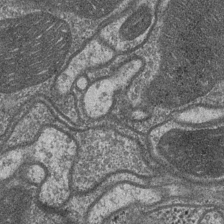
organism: Drosophila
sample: Optic medulla